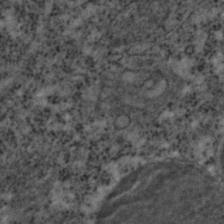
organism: C. elegans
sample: C. elegans embryo